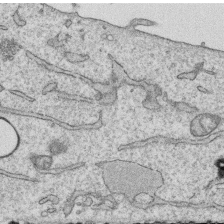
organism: Human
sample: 1205lu cells